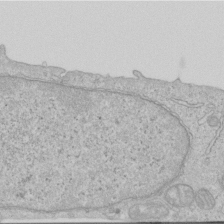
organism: Human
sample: Centriole in RPE cells